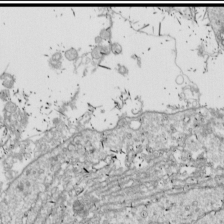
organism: Drosophila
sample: Cell division; meiosis; drosophila spermatocytes